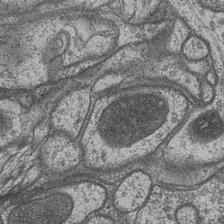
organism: Drosophila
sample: Optic medulla